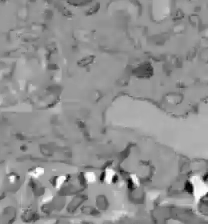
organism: C57BL Mouse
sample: Liver